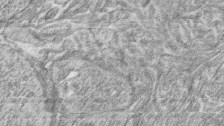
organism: Zebrafish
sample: synaptic ribbons in rod cells and cone cells